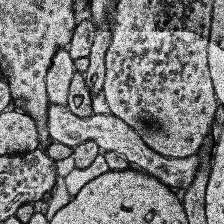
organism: Human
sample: Temporal Lobe